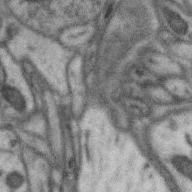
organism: Zebra finch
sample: Brain